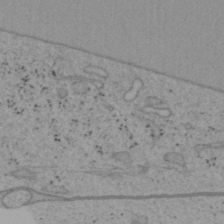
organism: Human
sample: HeLa cells